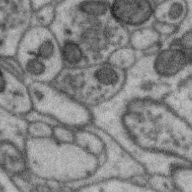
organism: Zebra finch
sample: Brain